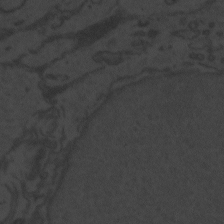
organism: Zebrafish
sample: Macrophage infected with Toxoplasma gondii